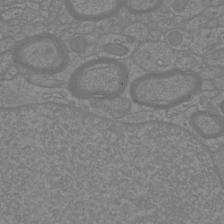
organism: Mouse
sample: Cortical neurons